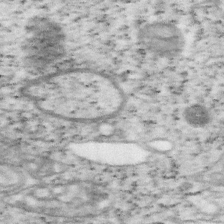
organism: Mouse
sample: OT-I killer T cells with ID8 ovarian cancer cells